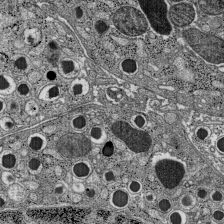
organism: C57BL Mouse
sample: Pancreatic islet